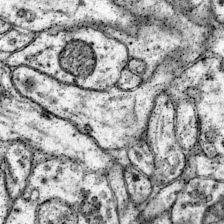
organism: Mouse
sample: Primary visual cortex